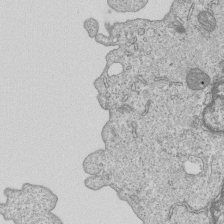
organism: Human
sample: MDA-MB-231 cells